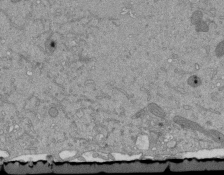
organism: Mouse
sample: ED-1 cell nuclei; centrioles